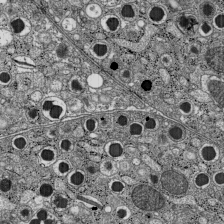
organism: C57BL Mouse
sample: Pancreatic islet